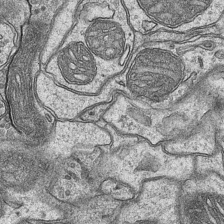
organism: Mouse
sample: CA1 Hippocampus